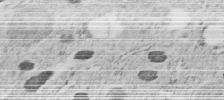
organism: C. elegans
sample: C. elegans embryo early stage